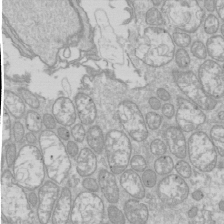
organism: Drosophila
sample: Cell division; meiosis; drosophila spermatocytes